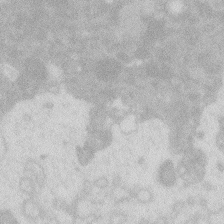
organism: Zebrafish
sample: Macrophage